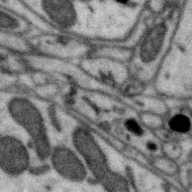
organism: Zebra finch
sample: Brain